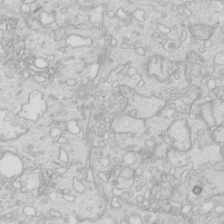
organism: Mouse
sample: Multiciliated cells